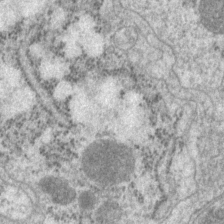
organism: P. pacificus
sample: Pharynx